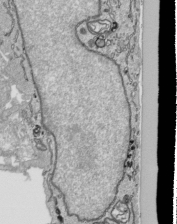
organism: Human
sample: Mitochondria in HCT116 cells